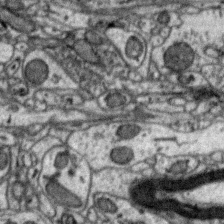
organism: Zebra finch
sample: Brain